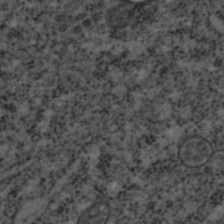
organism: C. elegans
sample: C. elegans embryo